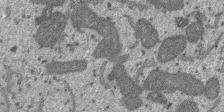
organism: Human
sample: Lung epithelial cells infected with SARS-CoV-2